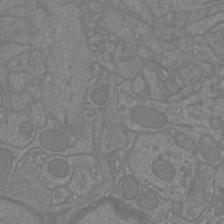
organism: Mouse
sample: Cortical neurons